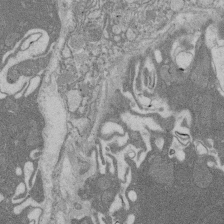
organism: Rat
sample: Salivary granule